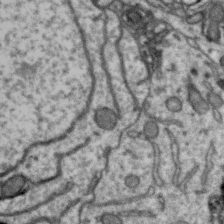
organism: Zebra finch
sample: Brain